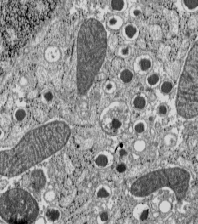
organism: C57BL Mouse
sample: Pancreatic islet